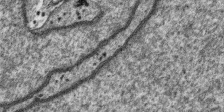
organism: Human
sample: Lung epithelial cells infected with SARS-CoV-2